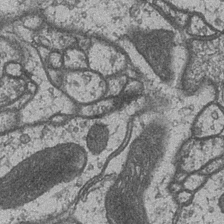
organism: Drosophila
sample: Optic medulla